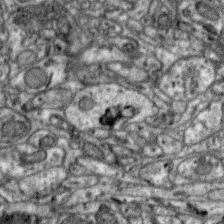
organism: Zebra finch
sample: Brain